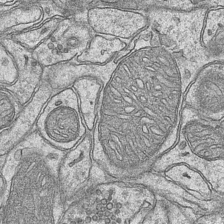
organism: Mouse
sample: CA1 Hippocampus